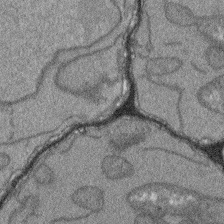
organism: Arabidopsis thaliana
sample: Root tip